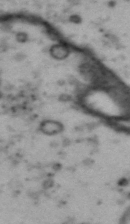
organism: Drosophila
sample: Brain